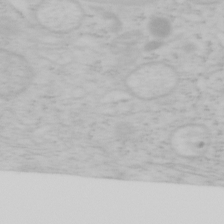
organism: Mouse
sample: OT-I killer T cells with ID8 ovarian cancer cells